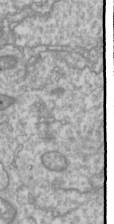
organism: Drosophila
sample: Cell division; meiosis; drosophila spermatocytes